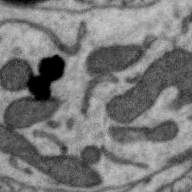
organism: Zebra finch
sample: Brain